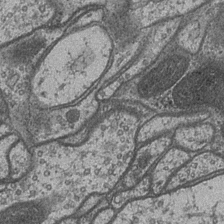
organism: Drosophila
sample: Optic medulla